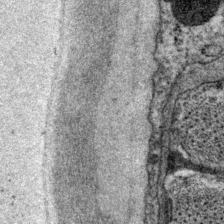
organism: P. pacificus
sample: Pharynx